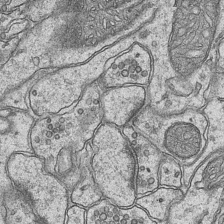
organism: Mouse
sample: CA1 Hippocampus